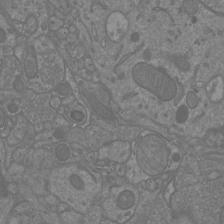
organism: Mouse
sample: Cortical neurons